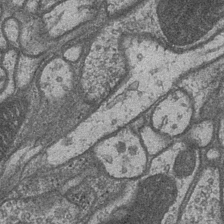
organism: Drosophila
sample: Optic medulla